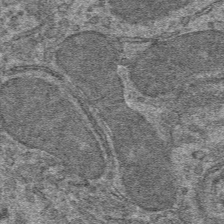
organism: Mouse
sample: Mouse hepatocytes